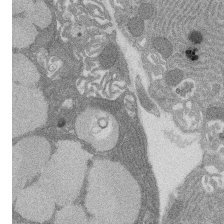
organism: Rat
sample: Salivary granule